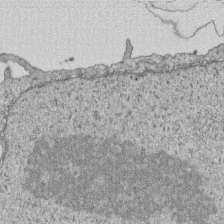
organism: Human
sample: HeLa cell HIV synapse